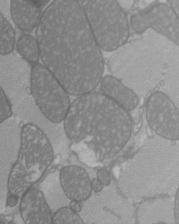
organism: C57BL Mouse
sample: Heart